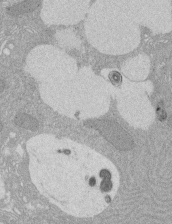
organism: Rat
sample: Salivary granule